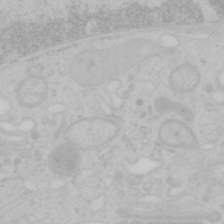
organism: Mouse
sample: OT-I killer T cells with ID8 ovarian cancer cells